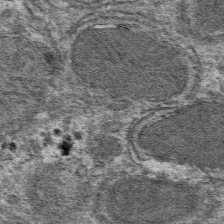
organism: Mouse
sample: Mouse hepatocytes